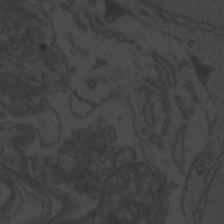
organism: Zebrafish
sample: Macrophage infected with Toxoplasma gondii